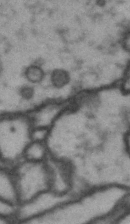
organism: Drosophila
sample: Brain